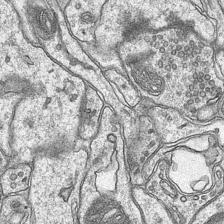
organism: Mouse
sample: CA1 Hippocampus